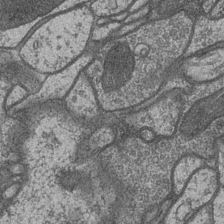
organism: Drosophila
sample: Optic medulla